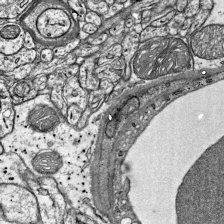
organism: Mouse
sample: Visual Cortex